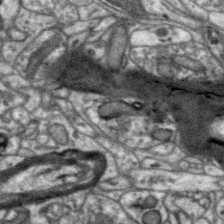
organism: Zebra finch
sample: Brain